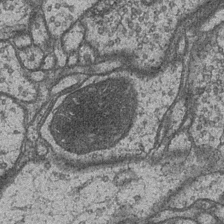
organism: Drosophila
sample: Optic medulla